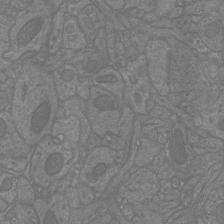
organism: Mouse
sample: Cortical neurons